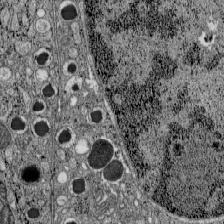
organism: C57BL Mouse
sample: Pancreatic islet